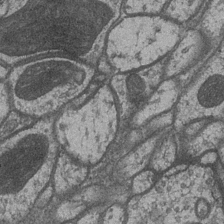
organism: Drosophila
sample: Optic medulla